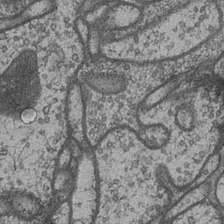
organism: Drosophila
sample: Optic medulla